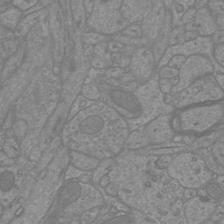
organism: Mouse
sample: Cortical neurons